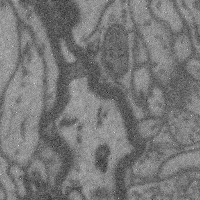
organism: Mouse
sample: Cerebral cortex